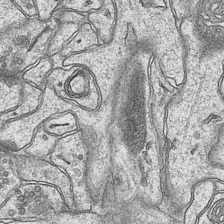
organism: Mouse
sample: CA1 Hippocampus